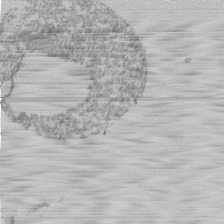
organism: Mouse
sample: Activated Pmel transgenic CD8+ T Cells